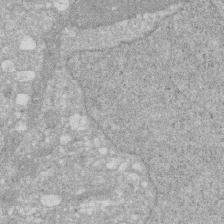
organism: Human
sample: HIV infected U937 cells